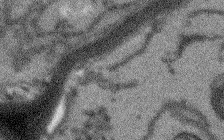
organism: Arabidopsis thaliana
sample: Root tip